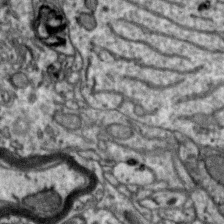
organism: Zebra finch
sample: Brain